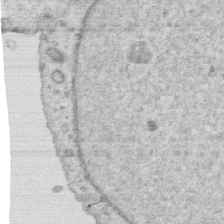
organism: Human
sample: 1205lu cells